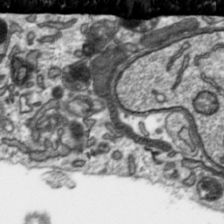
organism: Toxoplasma gondii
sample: Parasites in a vacuole inside a host cell